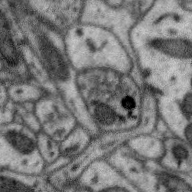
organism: Zebra finch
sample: Brain